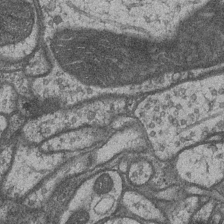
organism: Drosophila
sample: Optic medulla